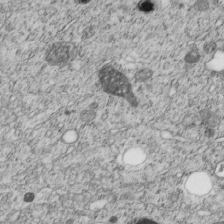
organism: C. elegans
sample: C. elegans embryo early stage